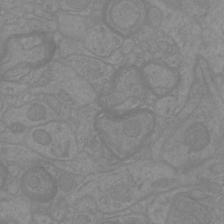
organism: Mouse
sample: Cortical neurons